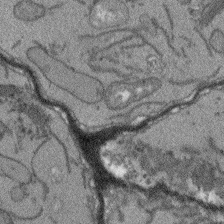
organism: Arabidopsis thaliana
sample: Root tip